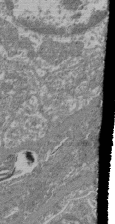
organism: Mouse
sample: Glomerulus